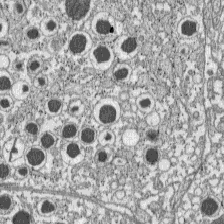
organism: C57BL Mouse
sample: Pancreatic islet